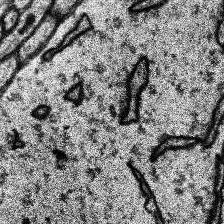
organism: Human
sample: Temporal Lobe